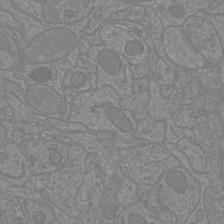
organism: Mouse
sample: Cortical neurons